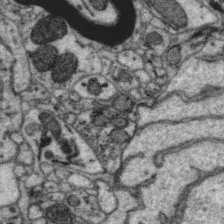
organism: Zebra finch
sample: Brain